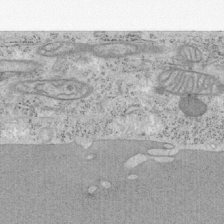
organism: Human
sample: HeLa cells